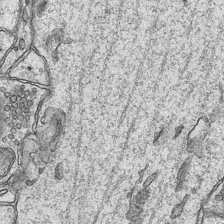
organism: Mouse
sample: CA1 Hippocampus